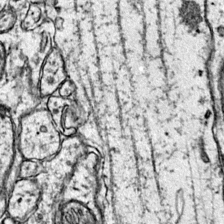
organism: Mouse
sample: Primary visual cortex